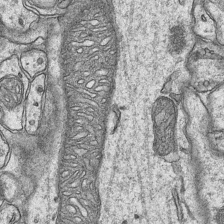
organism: Mouse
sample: CA1 Hippocampus